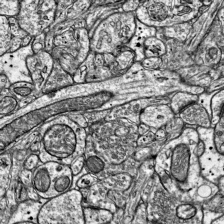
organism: Mouse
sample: Visual Cortex